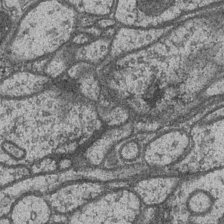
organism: Drosophila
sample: Optic medulla